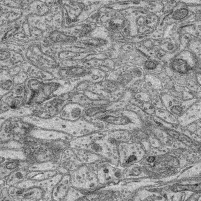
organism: Mouse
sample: Retina